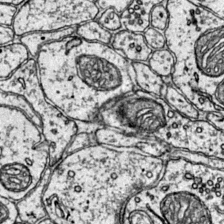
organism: Mouse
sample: Primary visual cortex